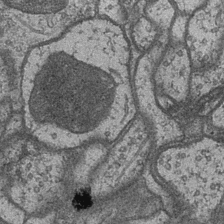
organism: Drosophila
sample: Optic medulla